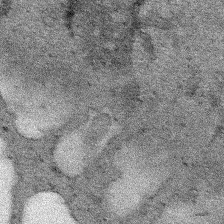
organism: Human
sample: Mitochondria in HCT116 cells